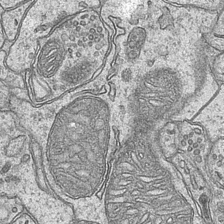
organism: Mouse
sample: CA1 Hippocampus